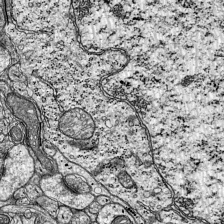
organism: Mouse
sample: Visual Cortex